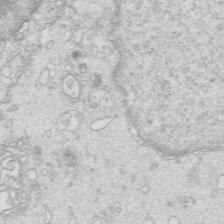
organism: Mouse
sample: Multiciliated cells